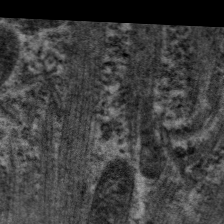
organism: C. elegans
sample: Pharynx